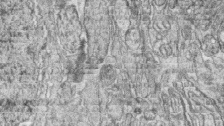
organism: Zebrafish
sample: synaptic ribbons in rod cells and cone cells